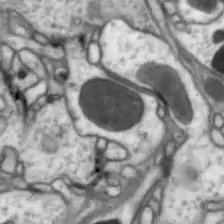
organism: Drosophila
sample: Optic lobe